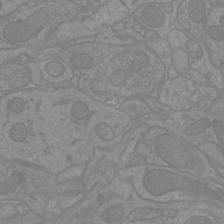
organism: Mouse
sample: Cortical neurons